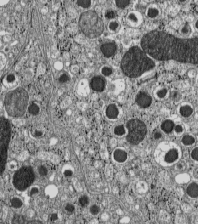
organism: C57BL Mouse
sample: Pancreatic islet